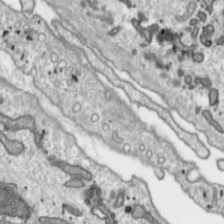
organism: Toxoplasma gondii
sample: Parasites in a vacuole inside a host cell